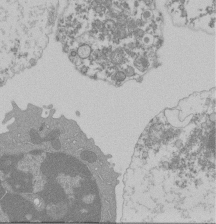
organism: Mouse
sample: Activated Pmel transgenic CD8+ T Cells